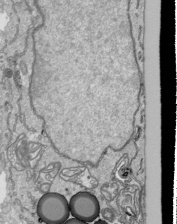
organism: Human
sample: Mitochondria in HCT116 cells